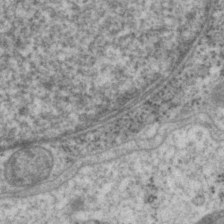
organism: P. pacificus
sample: Pharynx